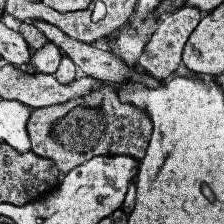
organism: Human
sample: Temporal Lobe